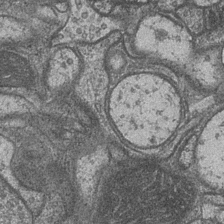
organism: Drosophila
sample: Optic medulla